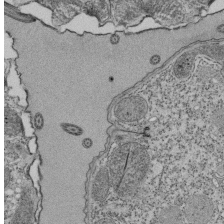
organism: Tetrahymena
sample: Cilia in tetrahymena